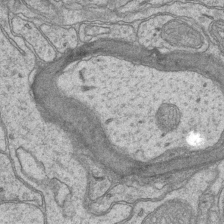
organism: Mouse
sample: CA1 Hippocampus